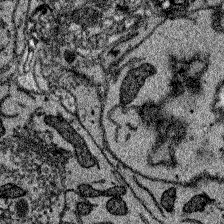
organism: Zebrafish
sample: Larval olfactory bulb